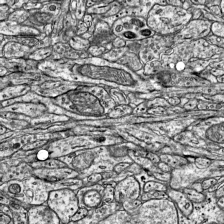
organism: Mouse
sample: Visual Cortex